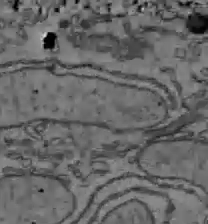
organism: C57BL Mouse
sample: Liver